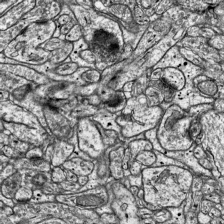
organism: Mouse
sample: Visual Cortex